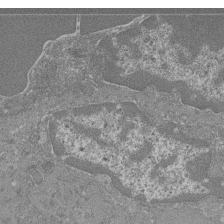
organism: Mouse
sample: Glomerulus